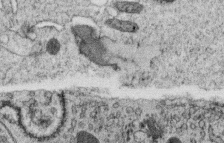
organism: C. elegans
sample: C. elegans oocyte; sperm cells